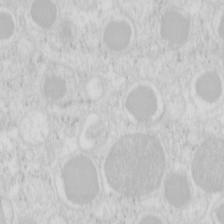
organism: Mouse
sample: Pancreas